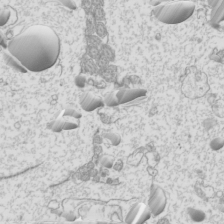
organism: Mouse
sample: Cilia; mouse epididymis